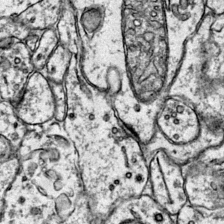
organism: Mouse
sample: Primary visual cortex